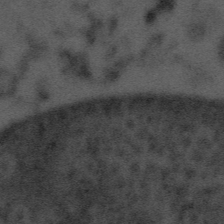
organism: Tuwongella immobilis